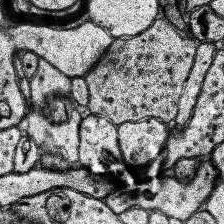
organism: Human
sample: Temporal Lobe